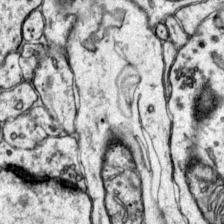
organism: Mouse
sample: Primary visual cortex